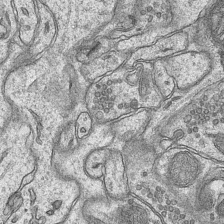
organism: Mouse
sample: CA1 Hippocampus